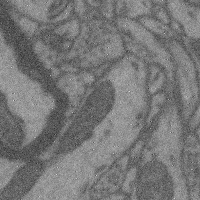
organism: Mouse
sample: Cerebral cortex